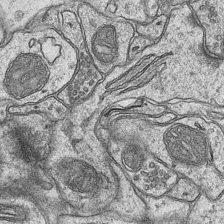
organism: Mouse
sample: CA1 Hippocampus